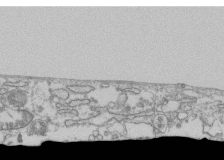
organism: Human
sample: Fibroblast cells